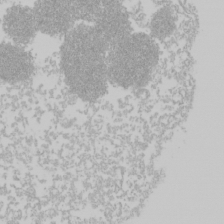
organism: Mouse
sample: Cancer cell death in ED-1 cells